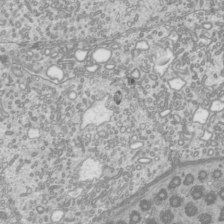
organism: Mouse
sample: Cilia; mouse epididymis